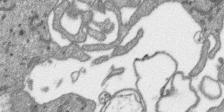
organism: Human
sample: Lung epithelial cells infected with SARS-CoV-2